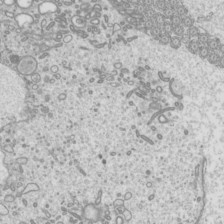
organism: Mouse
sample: Cilia; mouse epididymis